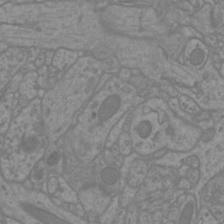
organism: Mouse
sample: Cortical neurons